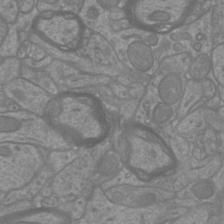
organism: Mouse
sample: Cortical neurons